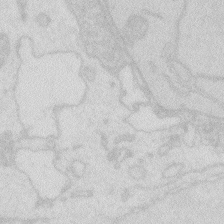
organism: Zebrafish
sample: Macrophage